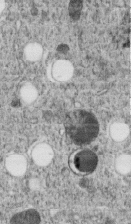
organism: C. elegans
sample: C. elegans embryo early stage